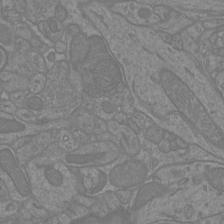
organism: Mouse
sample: Cortical neurons